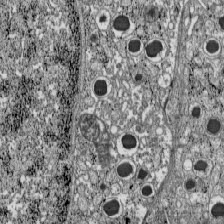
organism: C57BL Mouse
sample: Pancreatic islet